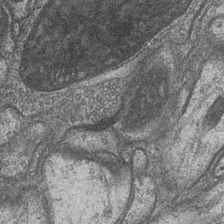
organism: Drosophila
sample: Optic medulla